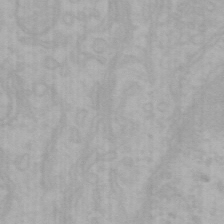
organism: Mouse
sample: Choroid plexus